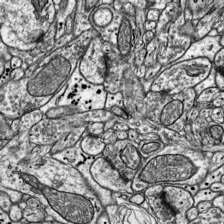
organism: Mouse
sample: Visual Cortex